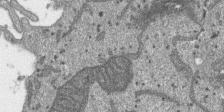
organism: Human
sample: Lung epithelial cells infected with SARS-CoV-2